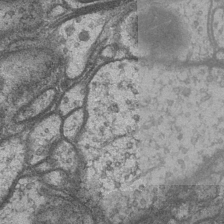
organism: Drosophila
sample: Optic medulla